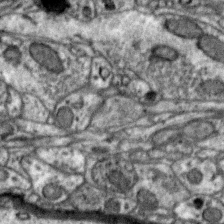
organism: Zebra finch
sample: Brain